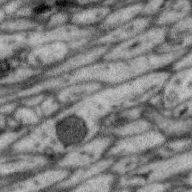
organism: Zebra finch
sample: Brain